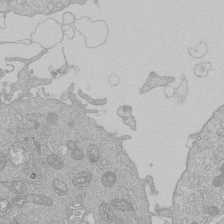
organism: Human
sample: Macrophage cells